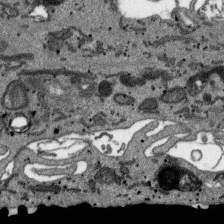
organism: Human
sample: Lung epithelial cells, uninfected (mock) control